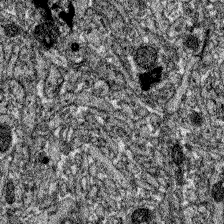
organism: Zebrafish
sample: Larval olfactory bulb